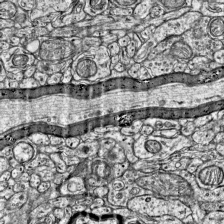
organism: Mouse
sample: Visual Cortex